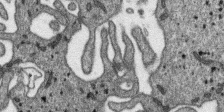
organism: Human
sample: Lung epithelial cells infected with SARS-CoV-2